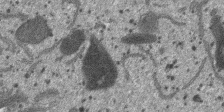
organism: Human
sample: Lung epithelial cells infected with SARS-CoV-2